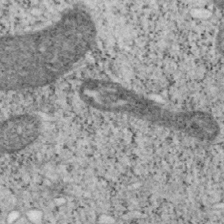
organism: Mouse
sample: OT-I killer T cells with ID8 ovarian cancer cells